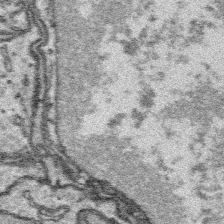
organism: Platynereis dumerilii